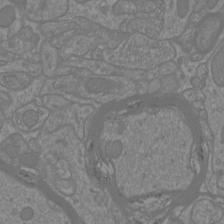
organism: Mouse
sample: Cortical neurons